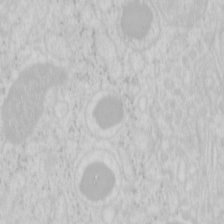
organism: Mouse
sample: Pancreas